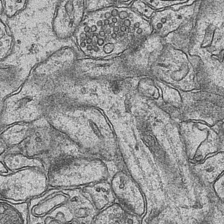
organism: Mouse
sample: CA1 Hippocampus